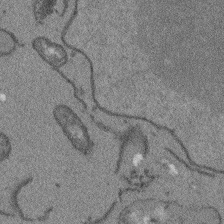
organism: Arabidopsis thaliana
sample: Root tip